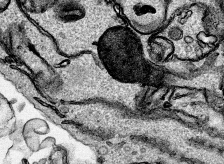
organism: Human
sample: Mitochondria in HCT116 cells